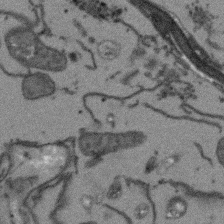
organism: Arabidopsis thaliana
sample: Root tip